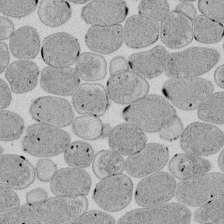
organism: E. coli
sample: Bacterial nucleoid